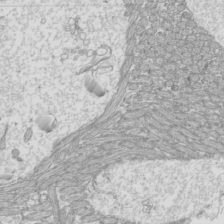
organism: Mouse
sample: Cilia; mouse epididymis